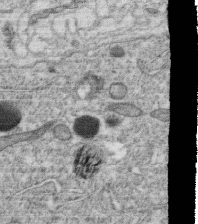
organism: C. elegans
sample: C. elegans oocyte; sperm cells